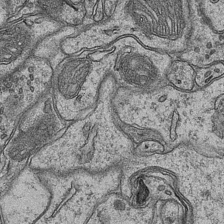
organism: Mouse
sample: CA1 Hippocampus